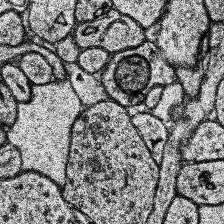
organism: Human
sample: Temporal Lobe